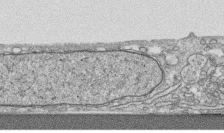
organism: Human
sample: CRL-1474